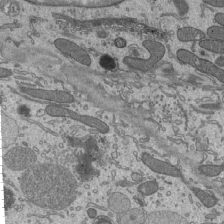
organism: Mouse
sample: Mouse epididymis efferent ductule cilia